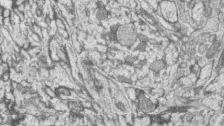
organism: Zebrafish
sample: synaptic ribbons in rod cells and cone cells